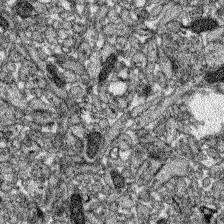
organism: Zebrafish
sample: Larval olfactory bulb